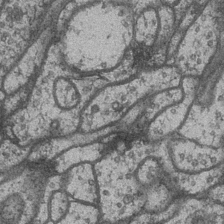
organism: Drosophila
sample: Optic medulla